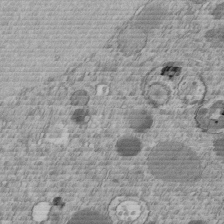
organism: C. elegans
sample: C. elegans embryo early stage